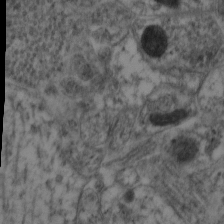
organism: Mouse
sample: Neocortex